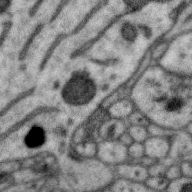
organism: Zebra finch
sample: Brain